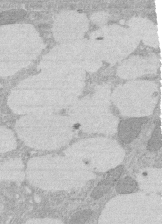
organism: Rat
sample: Salivary granule